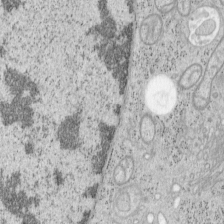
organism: Mouse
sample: OT-I killer T cells with ID8 ovarian cancer cells